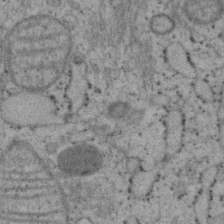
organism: Human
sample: HeLa cells